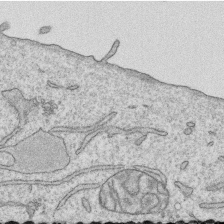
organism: Human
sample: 1205lu cells